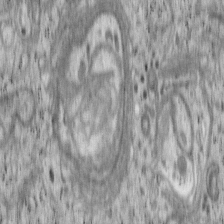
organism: Human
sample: HeLa cells